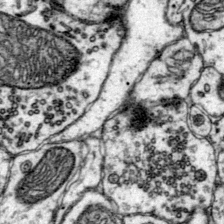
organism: Mouse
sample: Primary visual cortex